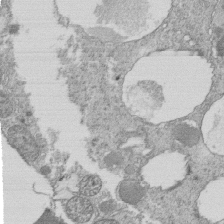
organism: Tetrahymena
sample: Cilia in tetrahymena